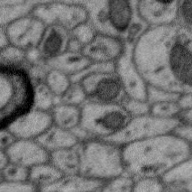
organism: Zebra finch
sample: Brain